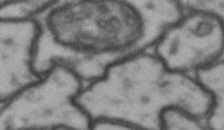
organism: Drosophila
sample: Brain